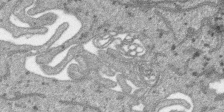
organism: Human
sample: Lung epithelial cells infected with SARS-CoV-2